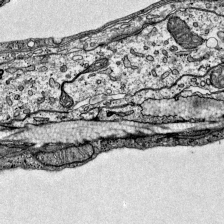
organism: Mouse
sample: Visual Cortex